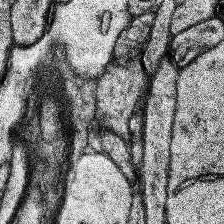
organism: Human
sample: Temporal Lobe